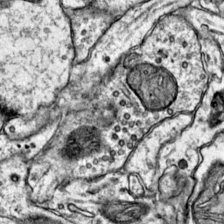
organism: Mouse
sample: Primary visual cortex